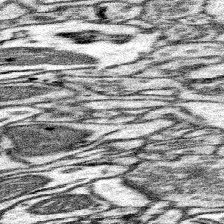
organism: Mouse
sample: Somatosensory cortex neuropil